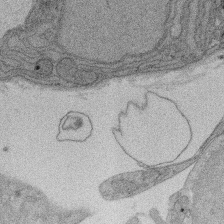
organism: Rat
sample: Salivary granule